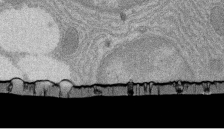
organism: Rat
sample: Salivary granule